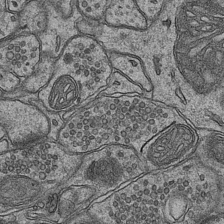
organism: Mouse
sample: CA1 Hippocampus